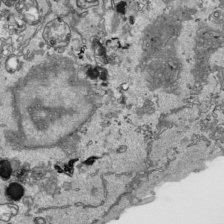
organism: Human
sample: Mitochondria in HCT116 cells